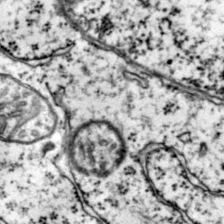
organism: Mouse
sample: Primary visual cortex